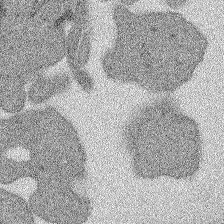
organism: Human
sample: HeLa cells